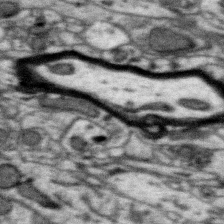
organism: Zebra finch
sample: Brain